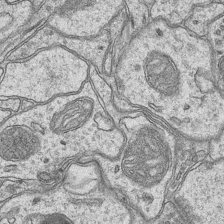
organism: Mouse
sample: CA1 Hippocampus